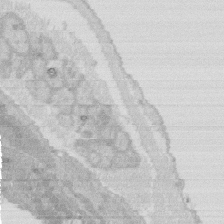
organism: Rat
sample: Salivary granule